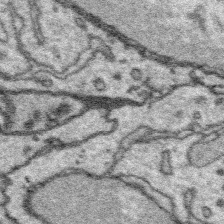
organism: Platynereis dumerilii